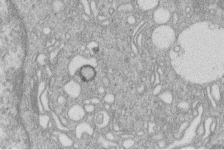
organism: Human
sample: Macrophage cells